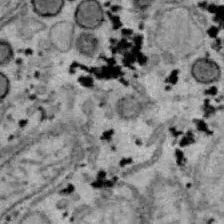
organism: Mouse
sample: Liver from an obese (ob/ob) mouse